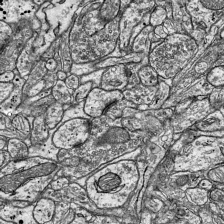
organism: Mouse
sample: Visual Cortex